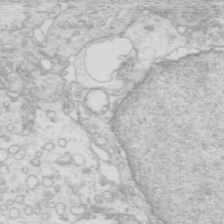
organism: Mouse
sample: Multiciliated cells